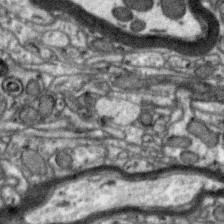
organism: Zebra finch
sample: Brain